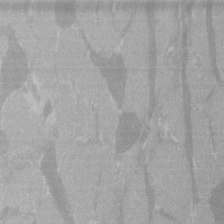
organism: C57BL Mouse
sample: Tibialis anterior muscle cell